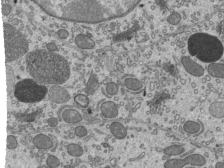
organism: Mouse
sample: Mouse epididymis efferent ductule cilia